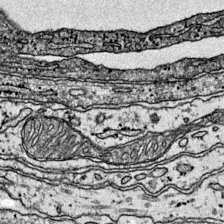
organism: Mouse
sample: Primary visual cortex